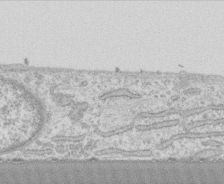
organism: Human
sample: CRL-1474